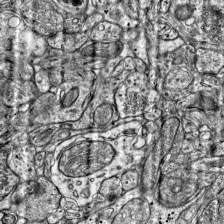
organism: Mouse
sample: Visual Cortex